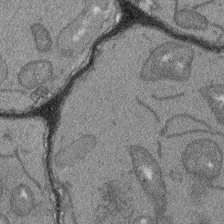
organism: Arabidopsis thaliana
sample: Root tip